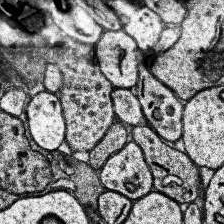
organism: Human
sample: Temporal Lobe